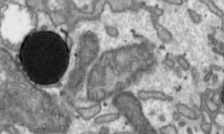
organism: Toxoplasma gondii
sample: Parasites in a vacuole inside a host cell